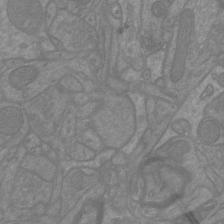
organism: Mouse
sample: Cortical neurons